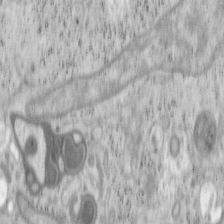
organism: Human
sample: HeLa cells